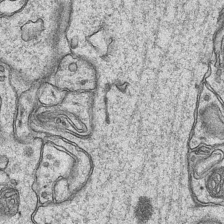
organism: Mouse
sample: CA1 Hippocampus